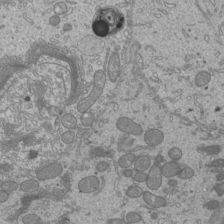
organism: Mouse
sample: Cilia; mouse epididymis